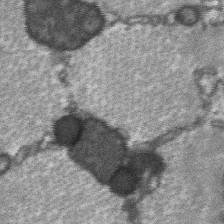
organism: C57BL Mouse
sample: Soleus